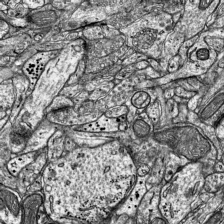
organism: Mouse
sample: Visual Cortex